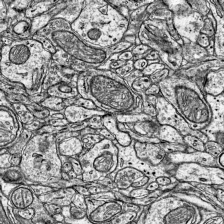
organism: Mouse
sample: Visual Cortex